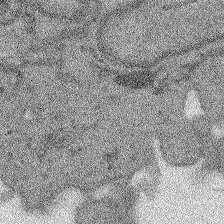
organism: Human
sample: HeLa cells